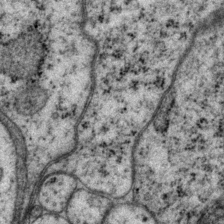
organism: P. pacificus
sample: Pharynx